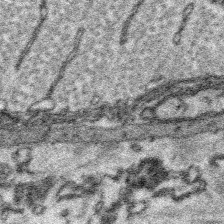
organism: Platynereis dumerilii